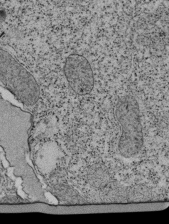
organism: Tetrahymena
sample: Cilia in tetrahymena